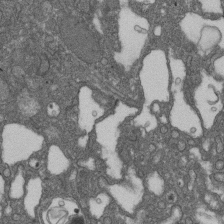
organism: Drosophila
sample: Nephrocyte